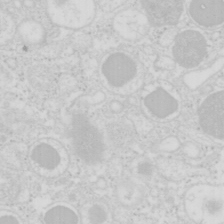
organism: Mouse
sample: Pancreas